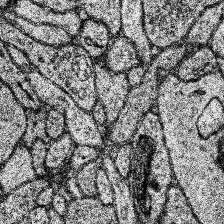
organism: Human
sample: Temporal Lobe